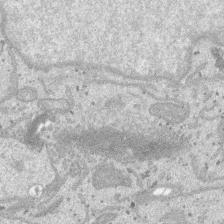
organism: Human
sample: Lung epithelial cells infected with SARS-CoV-2